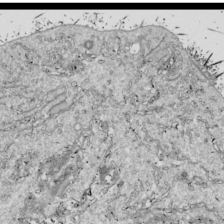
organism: Drosophila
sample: Cell division; meiosis; drosophila spermatocytes